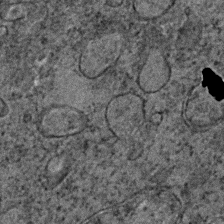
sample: Trachea